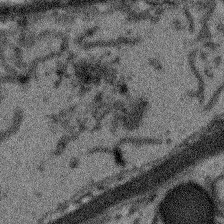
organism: Arabidopsis thaliana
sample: Root tip